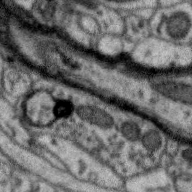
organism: Zebra finch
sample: Brain